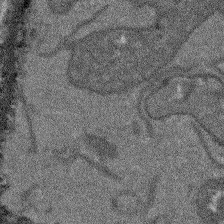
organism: Arabidopsis thaliana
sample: Root tip